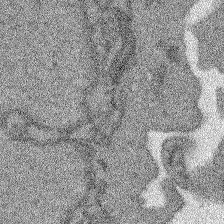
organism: Human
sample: HeLa cells